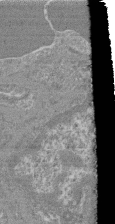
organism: Mouse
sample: Glomerulus